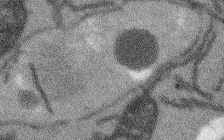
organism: Arabidopsis thaliana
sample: Root tip